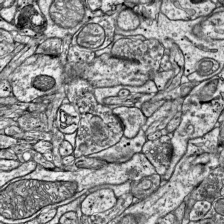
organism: Mouse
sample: Visual Cortex